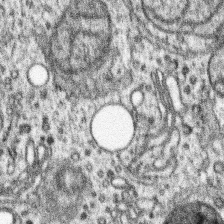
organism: Human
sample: HeLa cells